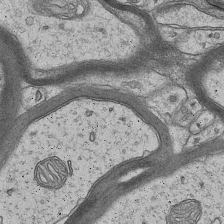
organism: Mouse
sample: CA1 Hippocampus